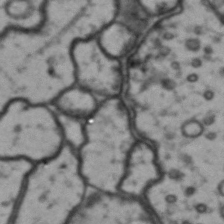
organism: Drosophila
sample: Brain